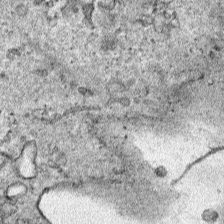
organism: Human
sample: Mitochondria in HCT116 cells